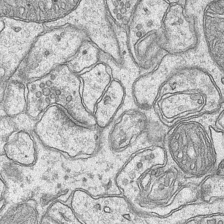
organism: Mouse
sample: CA1 Hippocampus